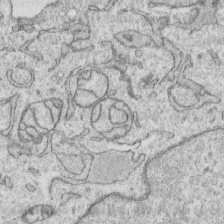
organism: Human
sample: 1205lu cells